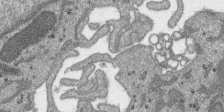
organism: Human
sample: Lung epithelial cells infected with SARS-CoV-2